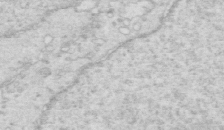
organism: Mouse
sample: Multiciliated cells